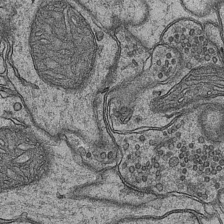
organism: Mouse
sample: CA1 Hippocampus